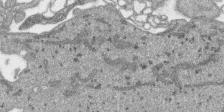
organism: Human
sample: Lung epithelial cells infected with SARS-CoV-2